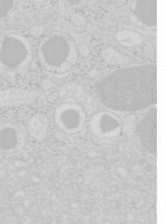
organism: Mouse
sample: Pancreas